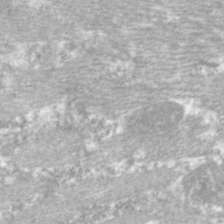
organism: C. elegans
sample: Pharynx